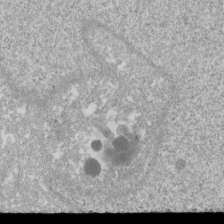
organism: Xenopus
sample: Cilia; centrioles in frog embryo cells